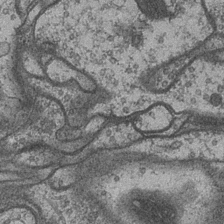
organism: Drosophila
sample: Optic medulla